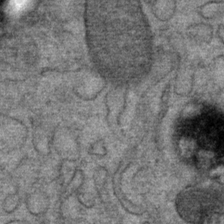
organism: Mouse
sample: Mouse Salivary gland